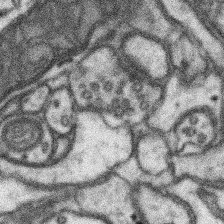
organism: Mouse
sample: Somatosensory cortex neuropil